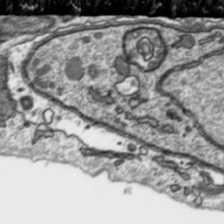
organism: Toxoplasma gondii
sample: Parasites in a vacuole inside a host cell